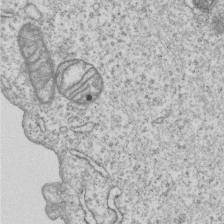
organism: Human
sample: MDA-MB-231 cells